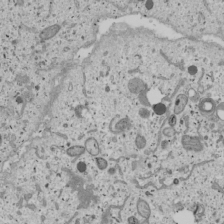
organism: Human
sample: Mitochondria in U2OS cells